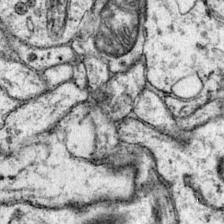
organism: Mouse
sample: Primary visual cortex